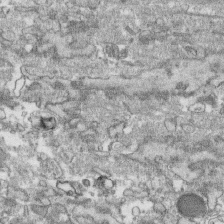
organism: Human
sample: CRL-1474